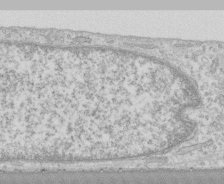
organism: Human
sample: CRL-1474